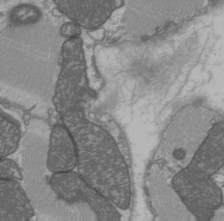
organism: C57BL Mouse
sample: Heart